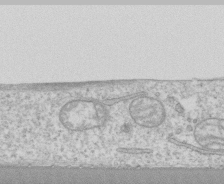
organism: Human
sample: CRL-1474